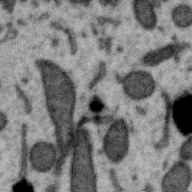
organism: Zebra finch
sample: Brain